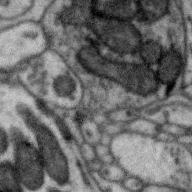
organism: Zebra finch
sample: Brain